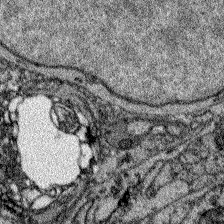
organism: Zebrafish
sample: Larval olfactory bulb